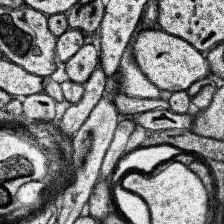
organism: Human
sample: Temporal Lobe